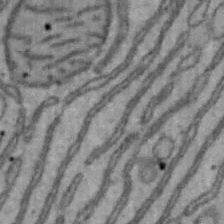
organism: Mouse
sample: Liver